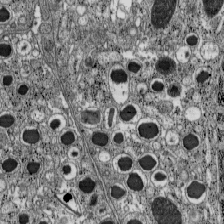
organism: C57BL Mouse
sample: Pancreatic islet